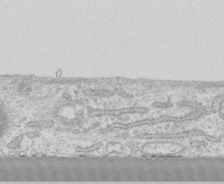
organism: Human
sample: CRL-1474